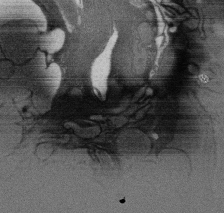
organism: Rat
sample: Salivary granule